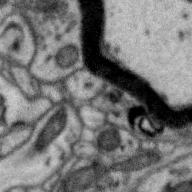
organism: Zebra finch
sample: Brain